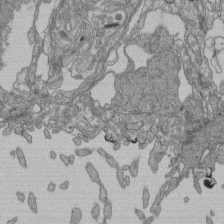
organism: Human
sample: Retinal organoid Rod and Cone cells